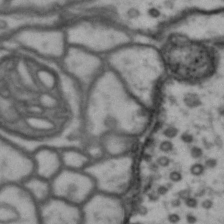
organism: Drosophila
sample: Brain